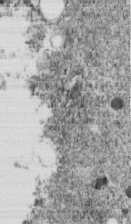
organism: C. elegans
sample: C. elegans embryo early stage